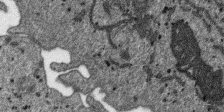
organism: Human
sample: Lung epithelial cells infected with SARS-CoV-2